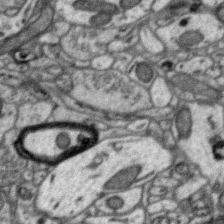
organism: Zebra finch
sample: Brain